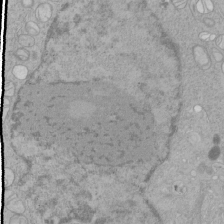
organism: Human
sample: Mitochondria in HCT116 cells